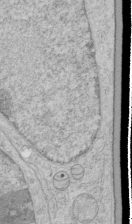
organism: Human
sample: Mitochondria in HCT116 cells